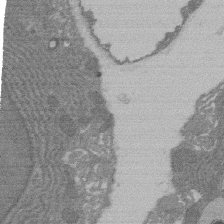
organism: Rat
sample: Salivary granule